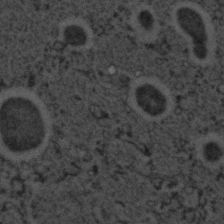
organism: C. elegans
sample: C. elegans embryo